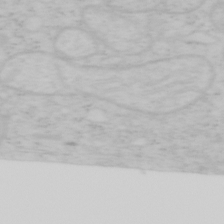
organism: Mouse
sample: OT-I killer T cells with ID8 ovarian cancer cells